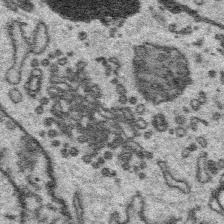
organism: Platynereis dumerilii